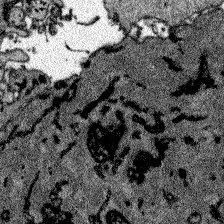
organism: Zebrafish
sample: Larval olfactory bulb